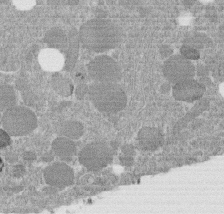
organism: C. elegans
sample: C. elegans embryo early stage